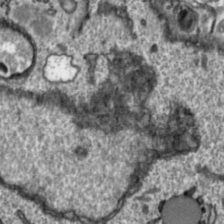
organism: Toxoplasma gondii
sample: Parasites in a vacuole inside a host cell